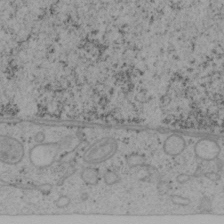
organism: Human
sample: HeLa cells